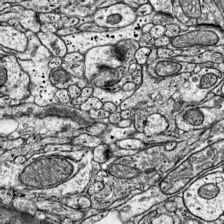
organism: Mouse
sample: Visual Cortex